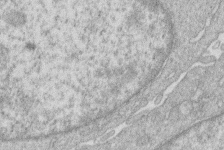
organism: Human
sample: Macrophage cells